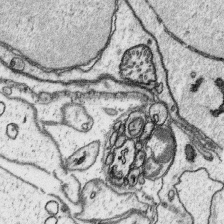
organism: Platynereis dumerilii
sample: Parapodia